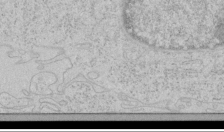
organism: Human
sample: Mitochondria in HCT116 cells